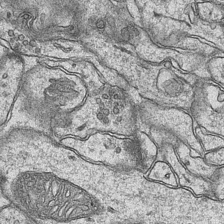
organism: Mouse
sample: CA1 Hippocampus